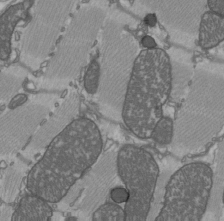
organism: C57BL Mouse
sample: Heart